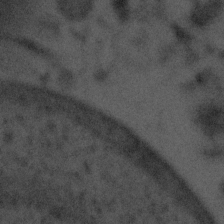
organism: Tuwongella immobilis